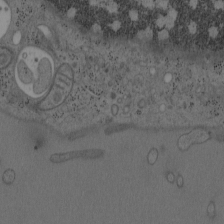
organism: Mouse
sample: OT-I killer T cells with ID8 ovarian cancer cells